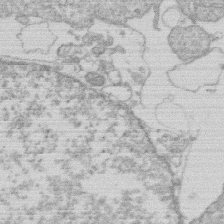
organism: Human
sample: Macrophage cells